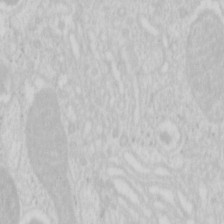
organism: Mouse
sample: Pancreas